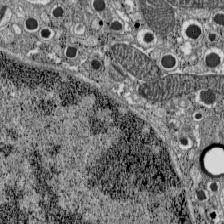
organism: C57BL Mouse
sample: Pancreatic islet